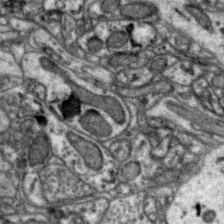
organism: Zebra finch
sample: Brain